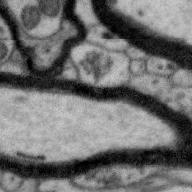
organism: Zebra finch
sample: Brain